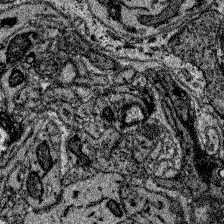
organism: Zebrafish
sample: Larval olfactory bulb